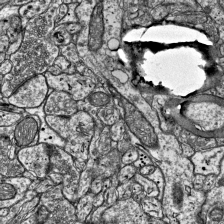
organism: Mouse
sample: Visual Cortex